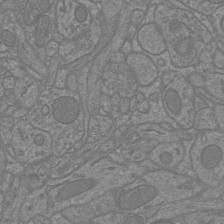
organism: Mouse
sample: Cortical neurons